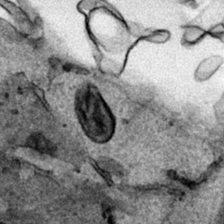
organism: Human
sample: Mitochondria in HCT116 cells